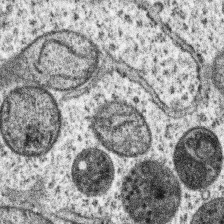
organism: Human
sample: HeLa cells